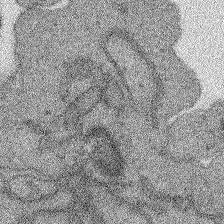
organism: Human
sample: HeLa cells